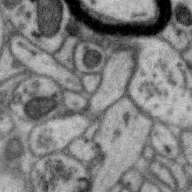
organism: Zebra finch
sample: Brain